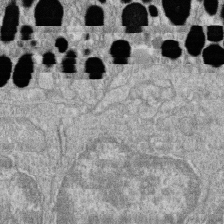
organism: Zebrafish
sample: Cilia; retinal pigment epithelium